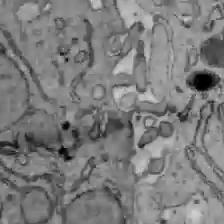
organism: C57BL Mouse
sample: Liver